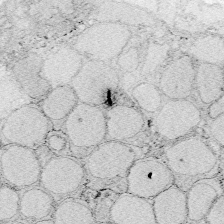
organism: Zebrafish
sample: Whole-Brain